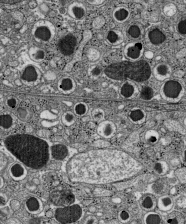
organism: C57BL Mouse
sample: Pancreatic islet